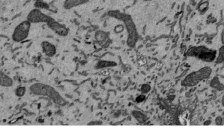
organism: Mouse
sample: ED-1 cell nuclei; centrioles